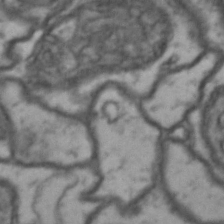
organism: Drosophila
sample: Brain